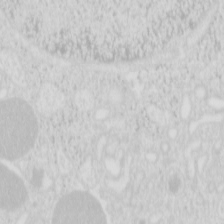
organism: Mouse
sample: Pancreas